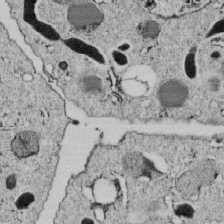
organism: C. elegans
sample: C. elegans embryo early stage